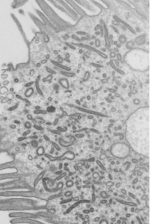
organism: Mouse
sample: Mouse epididymis efferent ductule cilia